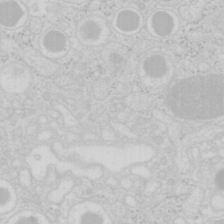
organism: Mouse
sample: Pancreas